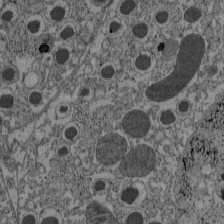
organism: C57BL Mouse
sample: Pancreatic islet